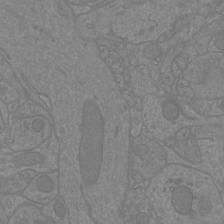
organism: Mouse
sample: Cortical neurons